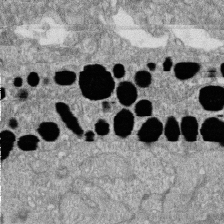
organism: Zebrafish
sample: Cilia; retinal pigment epithelium